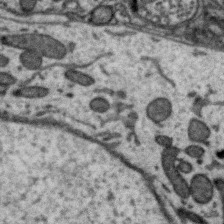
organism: Zebra finch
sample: Brain